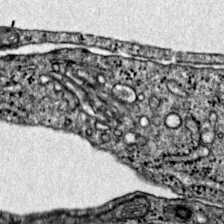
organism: Mouse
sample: Primary visual cortex